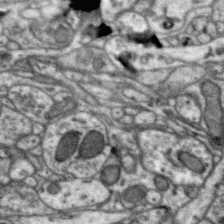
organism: Zebra finch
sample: Brain